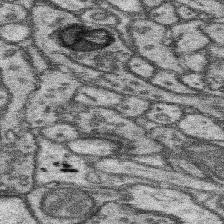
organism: Mouse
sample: Somatosensory cortex neuropil